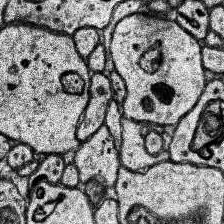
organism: Human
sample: Temporal Lobe